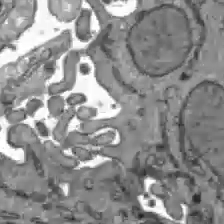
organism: C57BL Mouse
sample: Liver